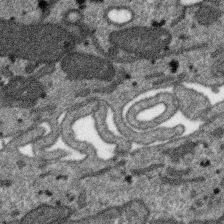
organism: Human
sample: Lung epithelial cells infected with SARS-CoV-2